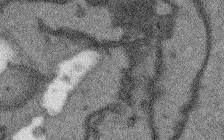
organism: Arabidopsis thaliana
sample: Root tip